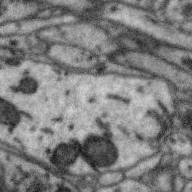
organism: Zebra finch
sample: Brain